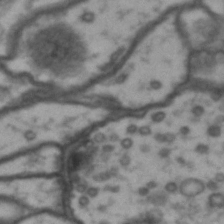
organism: Drosophila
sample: Brain